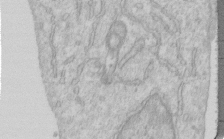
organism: Human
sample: Centriole in RPE cells